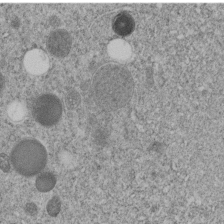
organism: C. elegans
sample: C. elegans embryo early stage